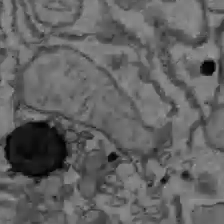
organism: C57BL Mouse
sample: Liver